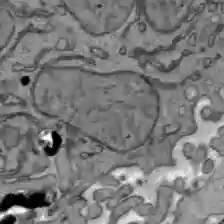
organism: C57BL Mouse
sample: Liver